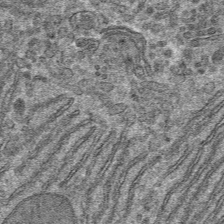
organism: Mouse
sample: Mouse hepatocytes